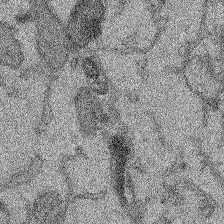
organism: Human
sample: HeLa cells